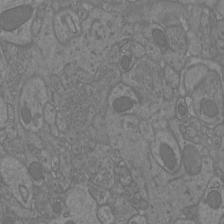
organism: Mouse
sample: Cortical neurons